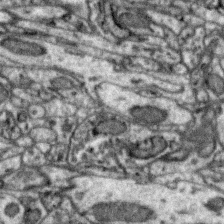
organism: Zebra finch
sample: Brain